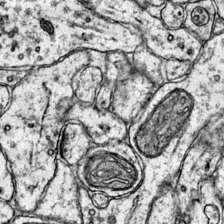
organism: Mouse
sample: Primary visual cortex